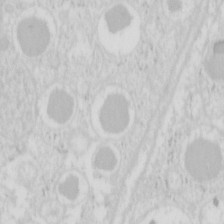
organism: Mouse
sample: Pancreas